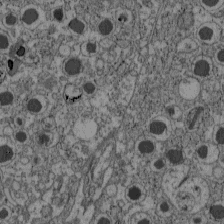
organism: C57BL Mouse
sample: Pancreatic islet